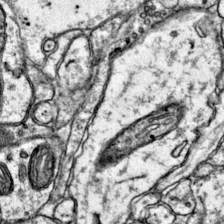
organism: Mouse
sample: Primary visual cortex